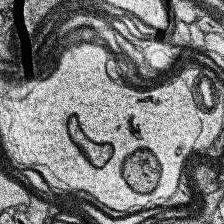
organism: Human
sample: Temporal Lobe